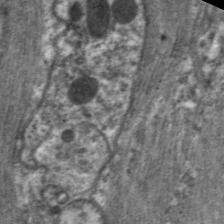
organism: C. elegans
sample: Pharynx